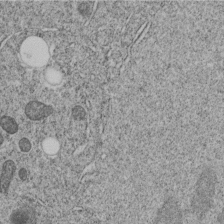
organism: C. elegans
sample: C. elegans embryo early stage